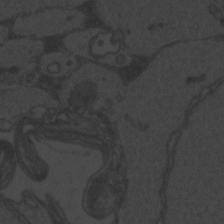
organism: Zebrafish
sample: Macrophage infected with Toxoplasma gondii